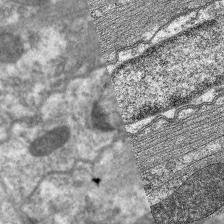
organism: C. elegans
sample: Pharynx